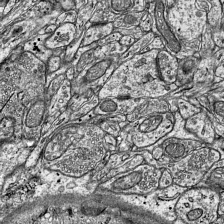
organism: Mouse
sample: Visual Cortex